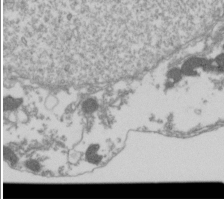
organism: Drosophila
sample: Cell division; meiosis; drosophila spermatocytes